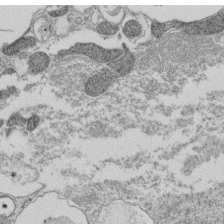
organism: Tetrahymena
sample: Cilia in tetrahymena